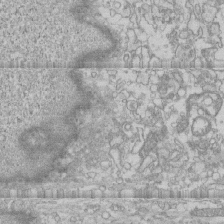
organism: Human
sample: CRL-1474